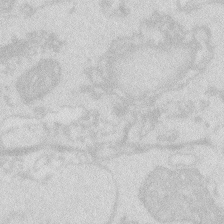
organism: Zebrafish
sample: Macrophage